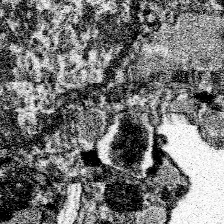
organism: Spongilla lacustris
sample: Neuroid cell